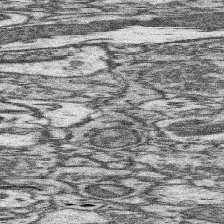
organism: Mouse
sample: Somatosensory cortex neuropil